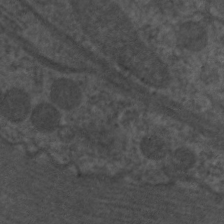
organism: C. elegans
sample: Pharynx